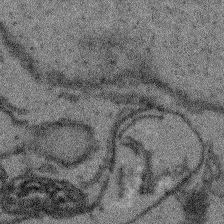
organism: Arabidopsis thaliana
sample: Root tip